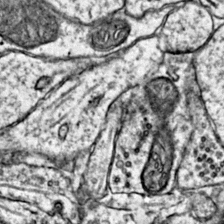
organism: Mouse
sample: Primary visual cortex